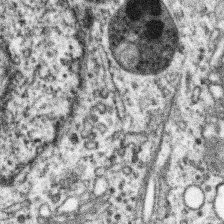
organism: Human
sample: HeLa cells